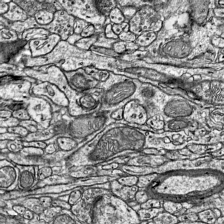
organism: Mouse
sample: Visual Cortex